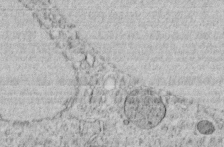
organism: C. elegans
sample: C. elegans embryo early stage